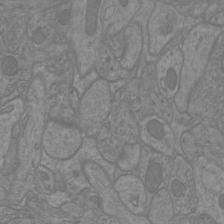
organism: Mouse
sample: Cortical neurons